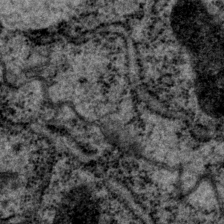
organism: P. pacificus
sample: Pharynx